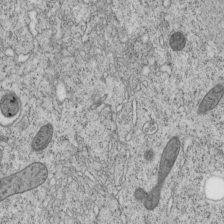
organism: C. elegans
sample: C. elegans embryo early stage